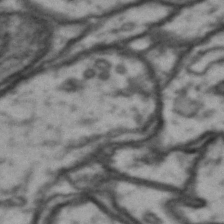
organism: Drosophila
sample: Brain